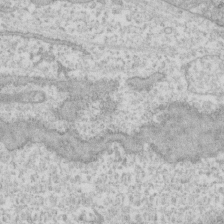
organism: Human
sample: CRL-1474